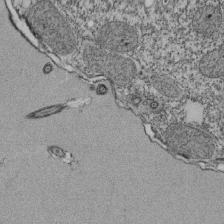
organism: Tetrahymena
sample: Cilia in tetrahymena